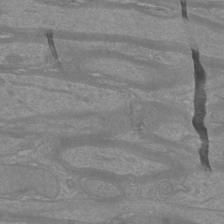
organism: Mouse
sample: Cortical neurons